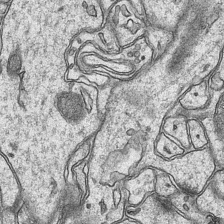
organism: Mouse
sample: CA1 Hippocampus